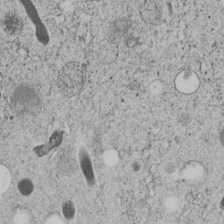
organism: C. elegans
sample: C. elegans embryo early stage